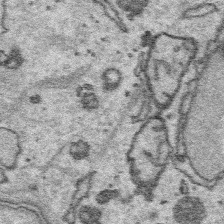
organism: Platynereis dumerilii